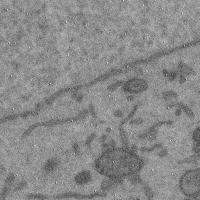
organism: Mouse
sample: Cerebral cortex